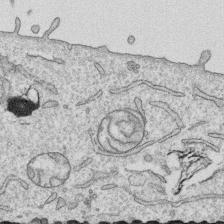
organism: Human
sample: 1205lu cells